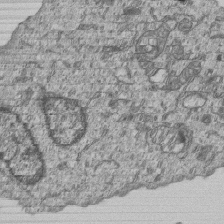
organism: Human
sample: MDA-MB-231 cells